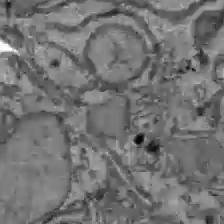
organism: C57BL Mouse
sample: Liver